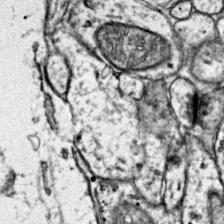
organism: Mouse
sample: Primary visual cortex